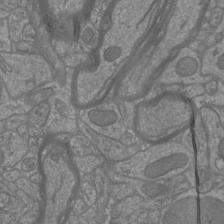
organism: Mouse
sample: Cortical neurons